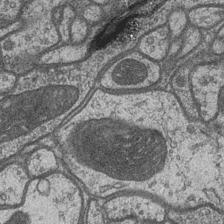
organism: Drosophila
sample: Optic medulla